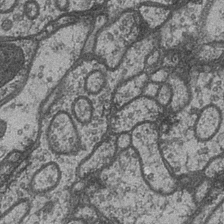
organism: Drosophila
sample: Optic medulla